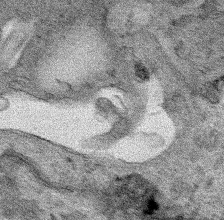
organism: Human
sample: Mitochondria in HCT116 cells